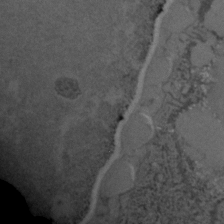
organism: C. elegans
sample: C. elegans embryo